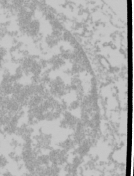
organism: Mouse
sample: Cancer cell death in ED-1 cells